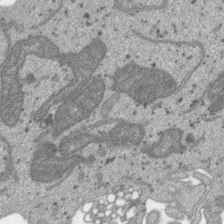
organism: Human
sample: Lung epithelial cells infected with SARS-CoV-2